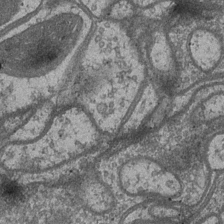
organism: Drosophila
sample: Optic medulla